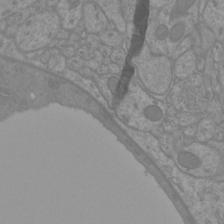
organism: Mouse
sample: Cortical neurons